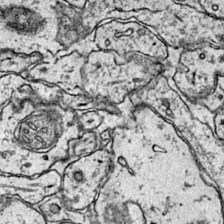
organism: Mouse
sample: Primary visual cortex